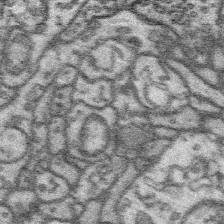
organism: Platynereis dumerilii